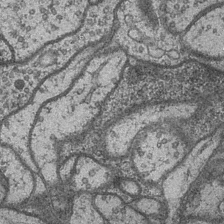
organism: Drosophila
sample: Optic medulla